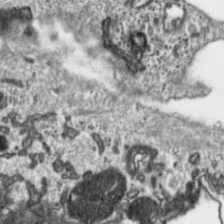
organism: Toxoplasma gondii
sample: Parasites in a vacuole inside a host cell